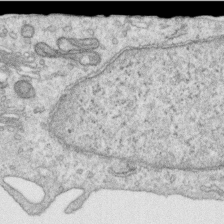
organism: Human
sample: Centriole in RPE cells